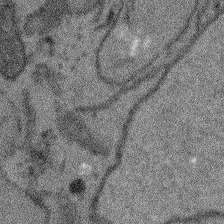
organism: Arabidopsis thaliana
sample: Root tip